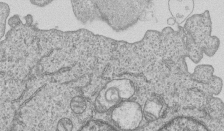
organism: Human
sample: MDA-MB-231 cells